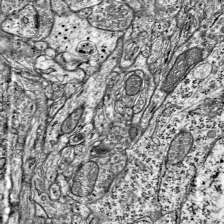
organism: Mouse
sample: Visual Cortex